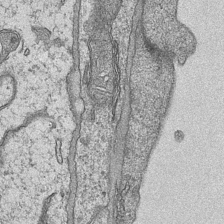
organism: Mouse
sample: CA1 Hippocampus